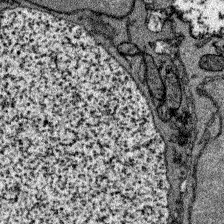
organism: Zebrafish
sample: Larval olfactory bulb